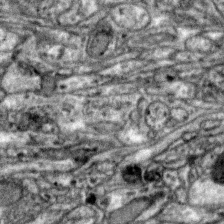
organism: Zebra finch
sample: Brain